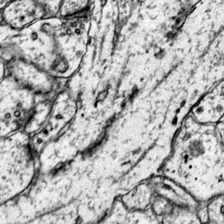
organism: Mouse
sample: Primary visual cortex